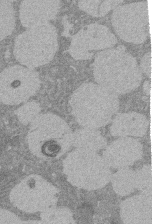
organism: Rat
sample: Salivary granule